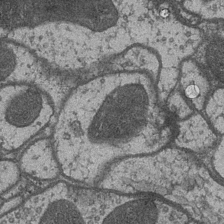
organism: Drosophila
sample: Optic medulla